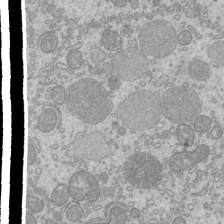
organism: Mouse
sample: Cilia; mouse epididymis